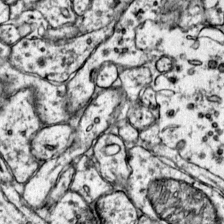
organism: Mouse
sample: Primary visual cortex